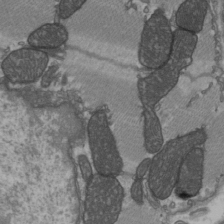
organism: C57BL Mouse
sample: Heart